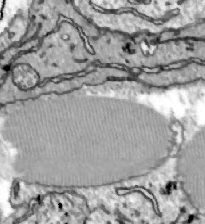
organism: Zebrafish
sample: Actinotrichia fibers